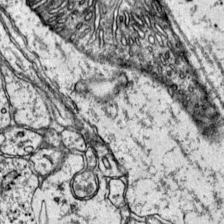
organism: Mouse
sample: Primary visual cortex